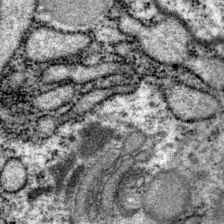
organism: P. pacificus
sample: Pharynx